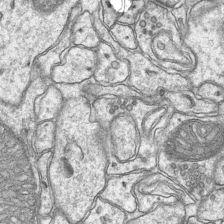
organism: Mouse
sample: CA1 Hippocampus